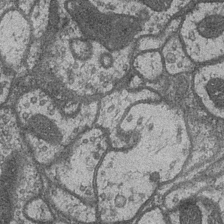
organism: Drosophila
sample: Optic medulla